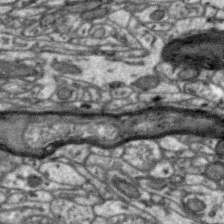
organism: Zebra finch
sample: Brain